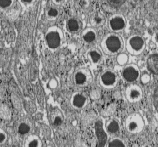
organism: C57BL Mouse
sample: Pancreatic islet